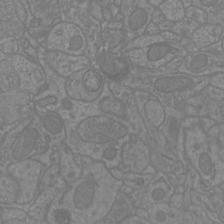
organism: Mouse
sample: Cortical neurons